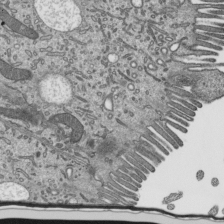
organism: Mouse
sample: Mouse epididymis efferent ductule cilia